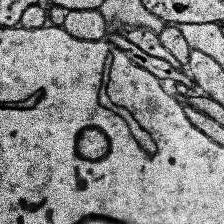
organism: Human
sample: Temporal Lobe